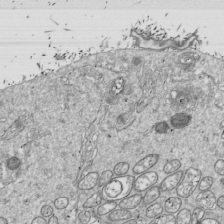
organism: Drosophila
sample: Cell division; meiosis; drosophila spermatocytes